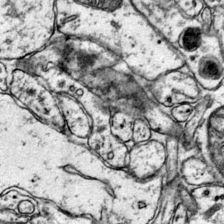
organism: Mouse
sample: Primary visual cortex